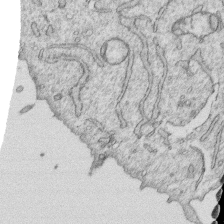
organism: Human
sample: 1205lu cells